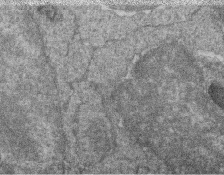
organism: Zebrafish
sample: Cilia; retinal pigment epithelium